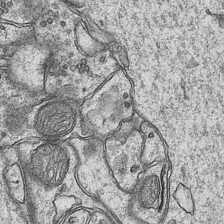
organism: Mouse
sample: CA1 Hippocampus